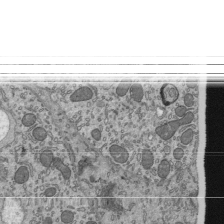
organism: Mouse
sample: Mouse epididymis efferent ductule cilia